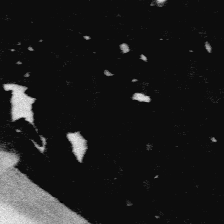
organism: Platynereis dumerilii